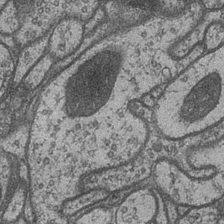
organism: Drosophila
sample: Optic medulla